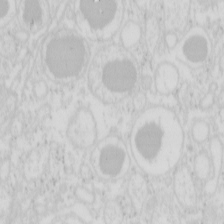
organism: Mouse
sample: Pancreas